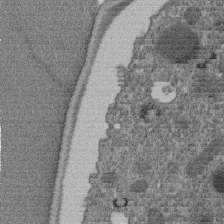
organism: C. elegans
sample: C. elegans embryo early stage